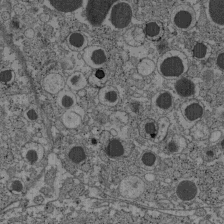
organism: C57BL Mouse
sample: Pancreatic islet